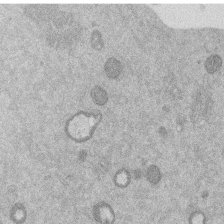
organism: Mouse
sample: Dividing mouse embryo 1 cell stage